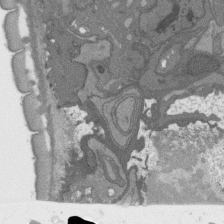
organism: C. elegans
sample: AFD neurons C. elegans